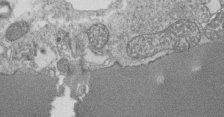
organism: Tetrahymena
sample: Cilia in tetrahymena